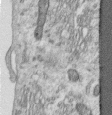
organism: Human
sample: Centriole in RPE cells